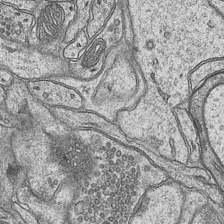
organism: Mouse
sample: CA1 Hippocampus